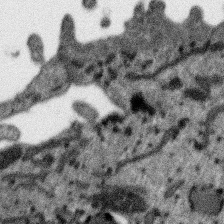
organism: Human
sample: Lung epithelial cells infected with SARS-CoV-2